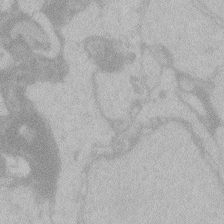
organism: Zebrafish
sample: Macrophage infected with Toxoplasma gondii